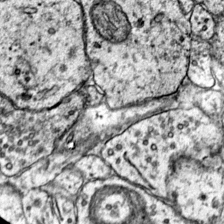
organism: Mouse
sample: Primary visual cortex